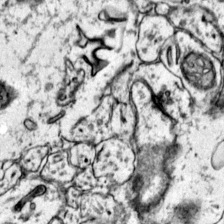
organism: Mouse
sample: Primary visual cortex